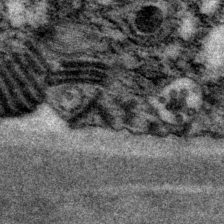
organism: P. pacificus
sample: Pharynx